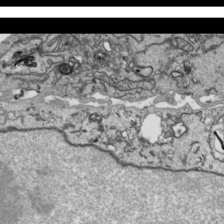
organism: Human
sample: Mitochondria in HCT116 cells